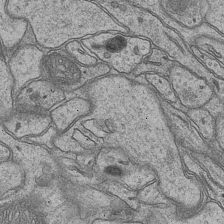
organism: Mouse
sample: CA1 Hippocampus